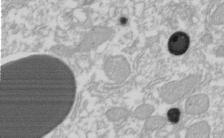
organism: Xenopus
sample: Cilia; centrioles in frog embryo cells